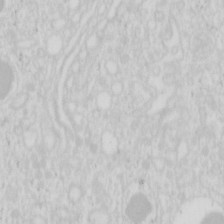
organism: Mouse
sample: Pancreas